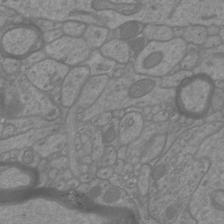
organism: Mouse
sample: Cortical neurons